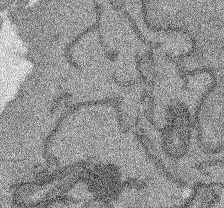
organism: Human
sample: HeLa cells